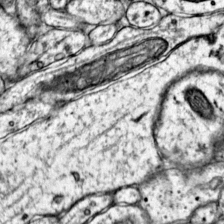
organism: Mouse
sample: Primary visual cortex